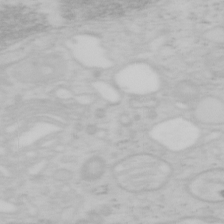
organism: Mouse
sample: OT-I killer T cells with ID8 ovarian cancer cells